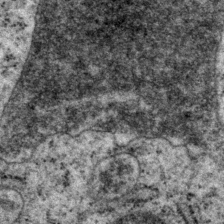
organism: P. pacificus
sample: Pharynx